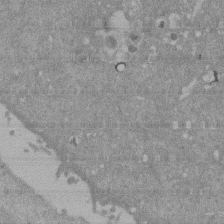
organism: Mouse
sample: ED-1 cell nuclei; centrioles